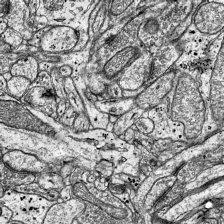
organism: Mouse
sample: Visual Cortex